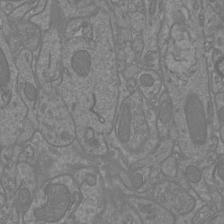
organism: Mouse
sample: Cortical neurons